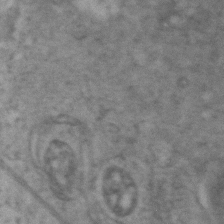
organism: Zebrafish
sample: Zebrafish embryo